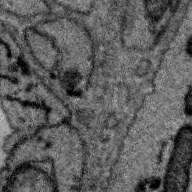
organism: Zebra finch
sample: Brain